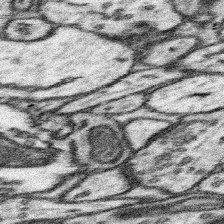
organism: Mouse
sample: Somatosensory cortex neuropil